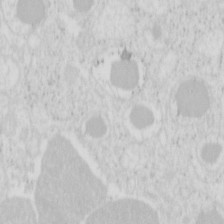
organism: Mouse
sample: Pancreas